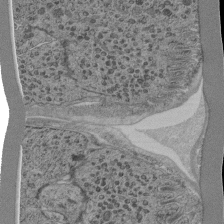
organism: C. elegans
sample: C. elegans pharynx